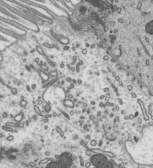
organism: Mouse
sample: Mouse epididymis efferent ductule cilia